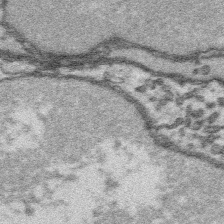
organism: Platynereis dumerilii